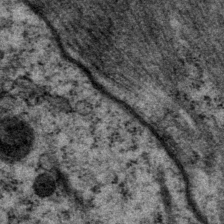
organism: P. pacificus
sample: Pharynx